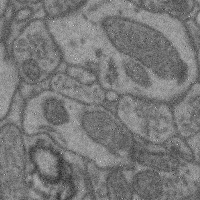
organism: Mouse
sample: Cerebral cortex